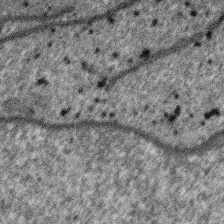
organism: Human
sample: Lung epithelial cells infected with SARS-CoV-2